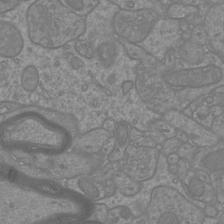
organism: Mouse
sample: Cortical neurons